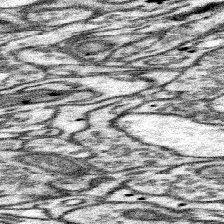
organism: Mouse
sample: Somatosensory cortex neuropil